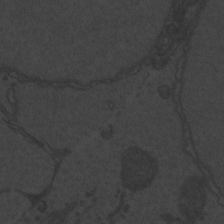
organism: Zebrafish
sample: Macrophage infected with Toxoplasma gondii